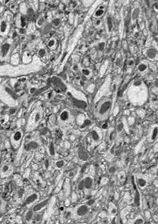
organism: Drosophila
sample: Optic lobe